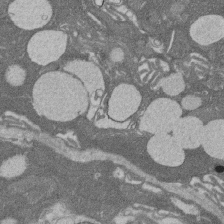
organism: Rat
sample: Salivary granule